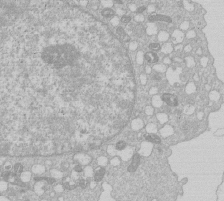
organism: Human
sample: Macrophage cells